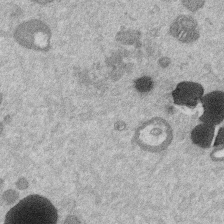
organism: Mouse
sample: Dividing mouse embryo 1 cell stage